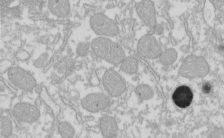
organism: Xenopus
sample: Cilia; centrioles in frog embryo cells